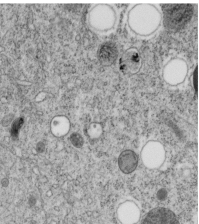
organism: C. elegans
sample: C. elegans embryo early stage